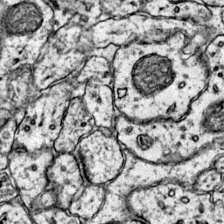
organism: Mouse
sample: Primary visual cortex